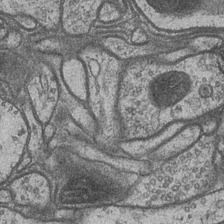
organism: Drosophila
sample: Optic medulla